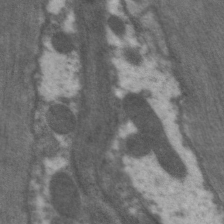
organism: C. elegans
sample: Pharynx